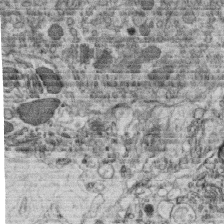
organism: C. elegans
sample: C. elegans oocyte; sperm cells